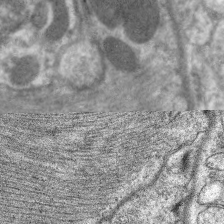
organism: C. elegans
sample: Pharynx